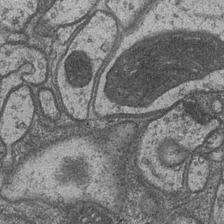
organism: Drosophila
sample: Optic medulla